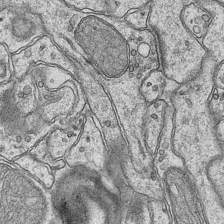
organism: Mouse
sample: CA1 Hippocampus